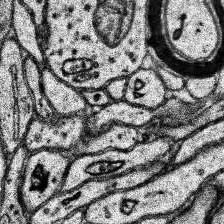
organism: Human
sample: Temporal Lobe